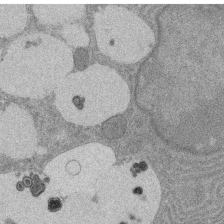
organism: Rat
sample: Salivary granule